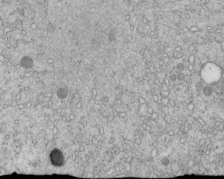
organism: C. elegans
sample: C. elegans embryo early stage